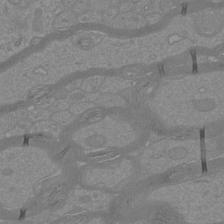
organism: Mouse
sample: Cortical neurons